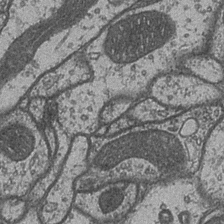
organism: Drosophila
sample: Optic medulla